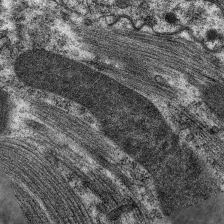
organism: C. elegans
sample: Pharynx